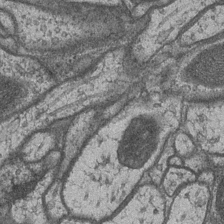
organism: Drosophila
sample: Optic medulla